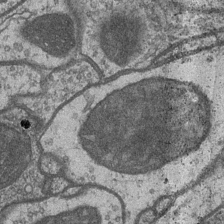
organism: Drosophila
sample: Optic medulla